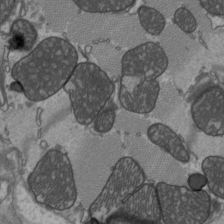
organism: C57BL Mouse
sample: Heart